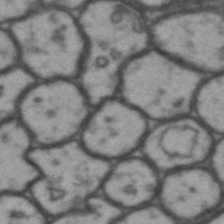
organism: Drosophila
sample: Brain